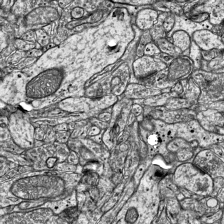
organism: Mouse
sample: Visual Cortex